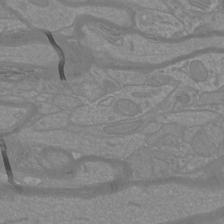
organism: Mouse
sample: Cortical neurons